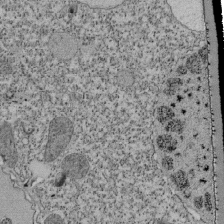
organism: Tetrahymena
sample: Cilia in tetrahymena